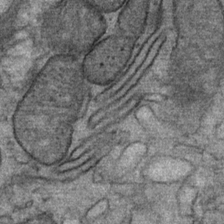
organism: Mouse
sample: Mouse Salivary gland